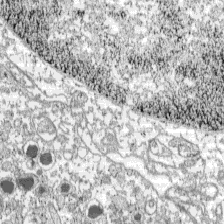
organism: C57BL Mouse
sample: Pancreatic islet